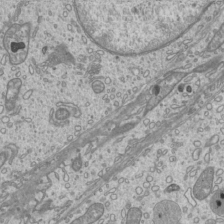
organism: Mouse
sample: Cilia; mouse epididymis